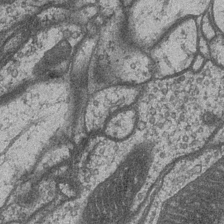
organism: Drosophila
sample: Optic medulla